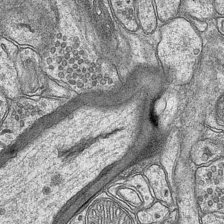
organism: Mouse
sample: CA1 Hippocampus